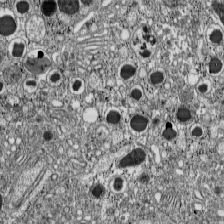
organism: C57BL Mouse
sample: Pancreatic islet